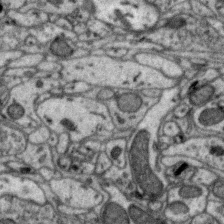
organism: Zebra finch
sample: Brain